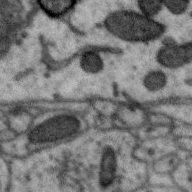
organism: Zebra finch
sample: Brain